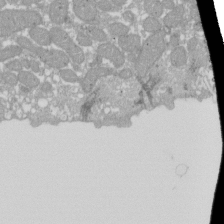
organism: Xenopus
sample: Cilia; centrioles in frog embryo cells